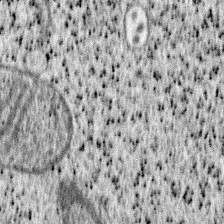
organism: Human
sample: HeLa cells